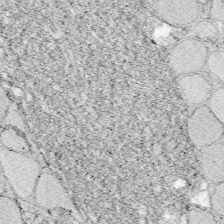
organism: Zebrafish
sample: Whole-Brain